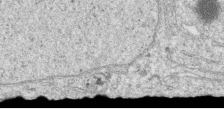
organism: Human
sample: HeLa cell HIV synapse